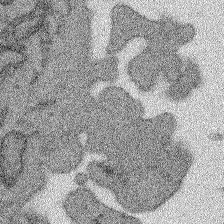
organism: Human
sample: HeLa cells